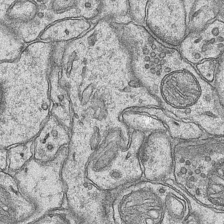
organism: Mouse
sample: CA1 Hippocampus